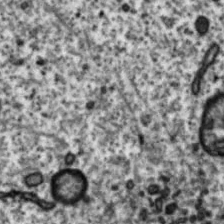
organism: Human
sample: HeLa cells